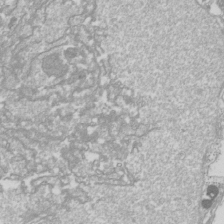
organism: Drosophila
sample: Cell division; meiosis; drosophila spermatocytes